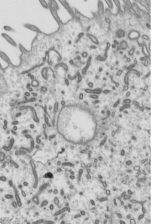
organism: Mouse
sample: Mouse epididymis efferent ductule cilia